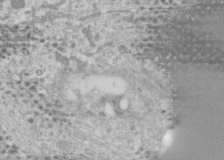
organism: Human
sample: Cilia; basal body in RPE cells